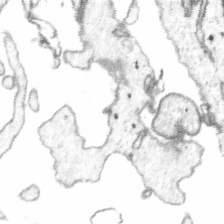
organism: Human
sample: HeLa cells